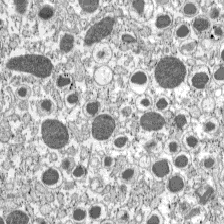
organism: C57BL Mouse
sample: Pancreatic islet